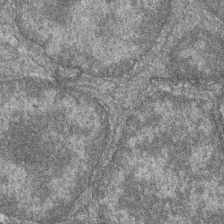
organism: Zebrafish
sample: Cilia; retinal pigment epithelium